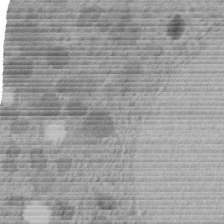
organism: C. elegans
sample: C. elegans embryo early stage